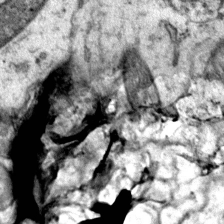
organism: Mouse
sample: Primary visual cortex